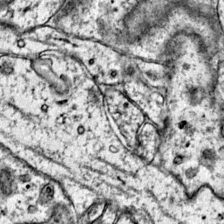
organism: Mouse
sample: Primary visual cortex